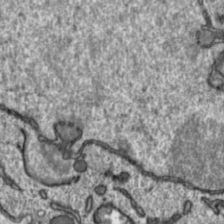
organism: Toxoplasma gondii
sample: Parasites in a vacuole inside a host cell